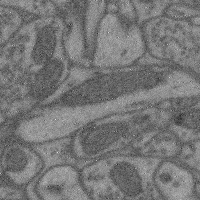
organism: Mouse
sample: Cerebral cortex